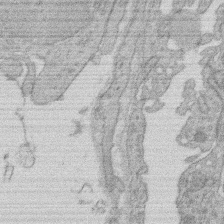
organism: Rat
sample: Salivary granule